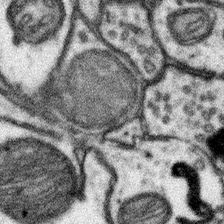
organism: Mouse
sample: Somatosensory cortex neuropil